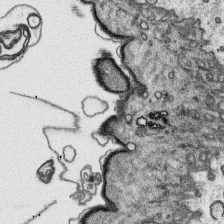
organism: Platynereis dumerilii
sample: Parapodia